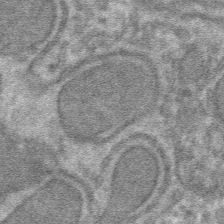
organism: Mouse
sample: Mouse hepatocytes